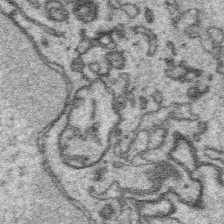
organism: Platynereis dumerilii